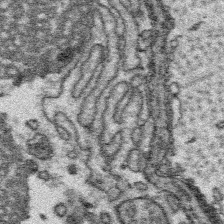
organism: Platynereis dumerilii